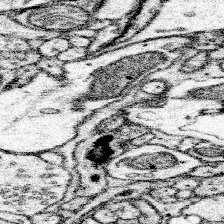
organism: Mouse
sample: Somatosensory cortex neuropil